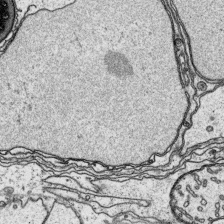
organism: Platynereis dumerilii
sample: Parapodia